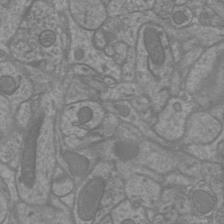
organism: Mouse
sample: Cortical neurons